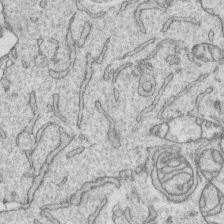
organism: Human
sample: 1205lu cells